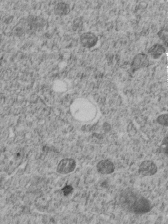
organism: C. elegans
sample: C. elegans embryo early stage